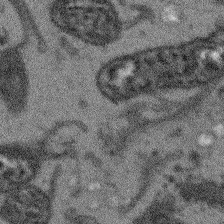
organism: Arabidopsis thaliana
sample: Root tip